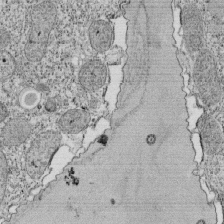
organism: Tetrahymena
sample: Cilia in tetrahymena